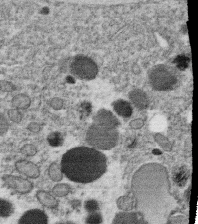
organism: C. elegans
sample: C. elegans oocyte; sperm cells